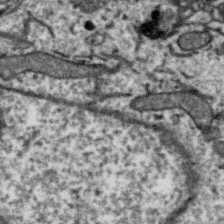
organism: Zebra finch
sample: Brain